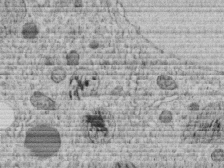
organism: C. elegans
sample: C. elegans embryo early stage